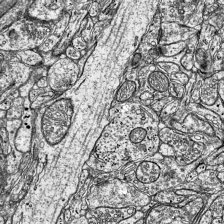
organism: Mouse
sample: Visual Cortex